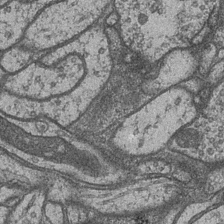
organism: Drosophila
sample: Optic medulla